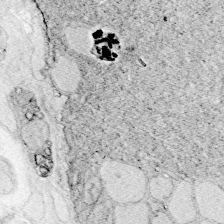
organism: Zebrafish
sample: Whole-Brain